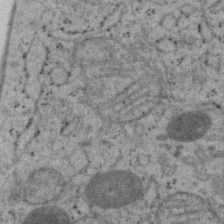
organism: Human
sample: HeLa cells